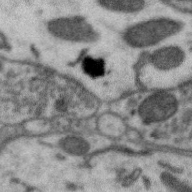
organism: Zebra finch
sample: Brain